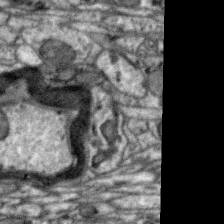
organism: Zebra finch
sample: Brain